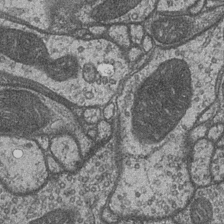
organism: Drosophila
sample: Optic medulla